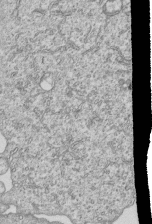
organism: Human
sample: MDA-MB-231 cells